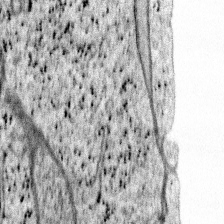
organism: Human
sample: HeLa cells